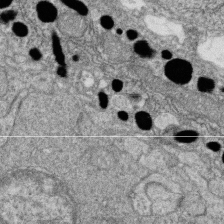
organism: Zebrafish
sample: Cilia; retinal pigment epithelium